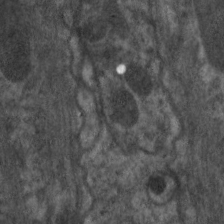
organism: C. elegans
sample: Pharynx